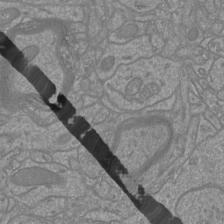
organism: Mouse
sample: Cortical neurons